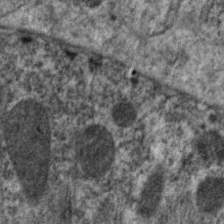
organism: C. elegans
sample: Pharynx